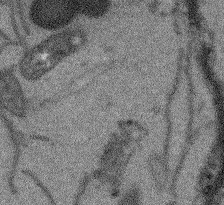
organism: Arabidopsis thaliana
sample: Root tip